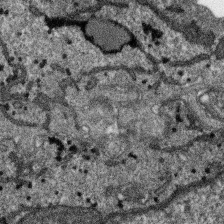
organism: Human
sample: Lung epithelial cells infected with SARS-CoV-2